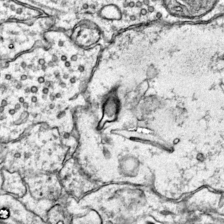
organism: Mouse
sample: Primary visual cortex